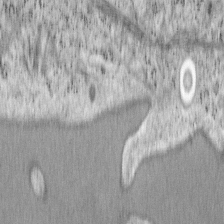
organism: Human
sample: HeLa cells